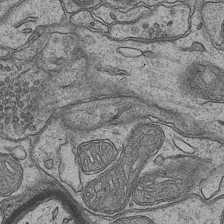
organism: Mouse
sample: CA1 Hippocampus